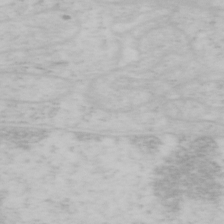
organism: Mouse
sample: OT-I killer T cells with ID8 ovarian cancer cells